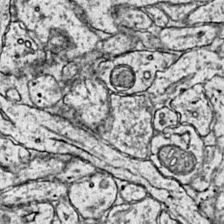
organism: Mouse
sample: Primary visual cortex